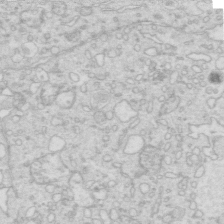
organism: Mouse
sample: Multiciliated cells